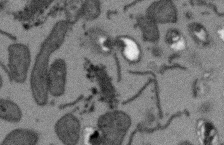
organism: Arabidopsis thaliana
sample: Root tip